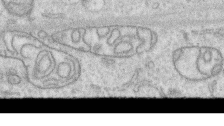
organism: Human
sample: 1205lu cells